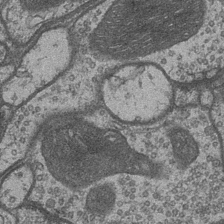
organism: Drosophila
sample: Optic medulla